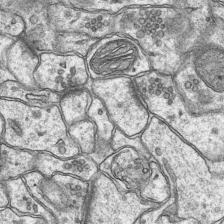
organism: Mouse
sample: CA1 Hippocampus